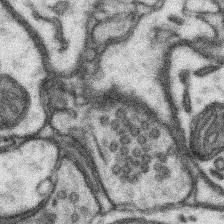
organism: Mouse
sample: Somatosensory cortex neuropil